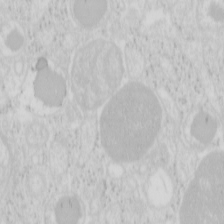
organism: Mouse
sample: Pancreas